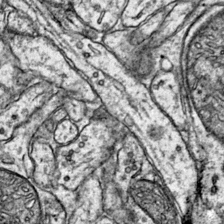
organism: Mouse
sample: Primary visual cortex